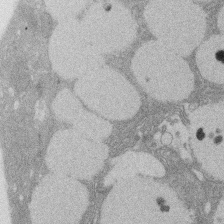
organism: Rat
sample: Salivary granule